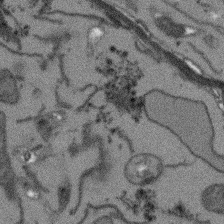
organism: Arabidopsis thaliana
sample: Root tip